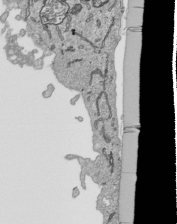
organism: Human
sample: Mitochondria in HCT116 cells